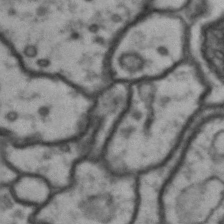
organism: Drosophila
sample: Brain